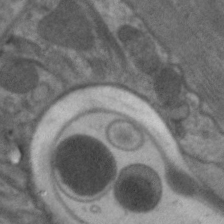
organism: C. elegans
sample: Pharynx